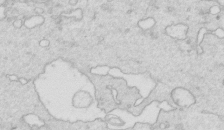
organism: Mouse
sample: Multiciliated cells